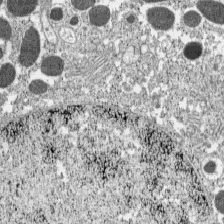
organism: C57BL Mouse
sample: Pancreatic islet